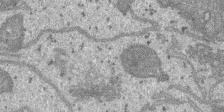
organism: Human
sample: Lung epithelial cells infected with SARS-CoV-2